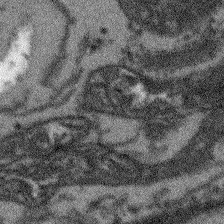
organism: Arabidopsis thaliana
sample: Root tip